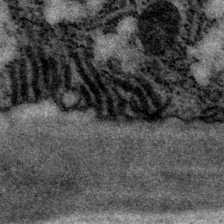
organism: P. pacificus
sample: Pharynx